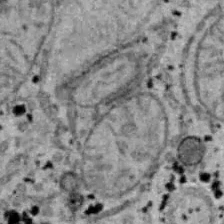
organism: Mouse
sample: Liver from an obese (ob/ob) mouse